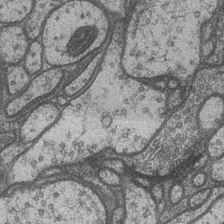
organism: Drosophila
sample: Optic medulla